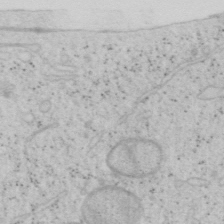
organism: Human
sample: HeLa cells